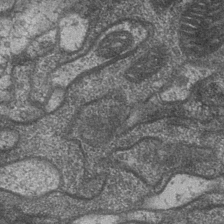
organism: Drosophila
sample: Optic medulla